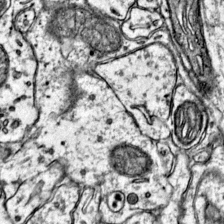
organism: Mouse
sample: Primary visual cortex